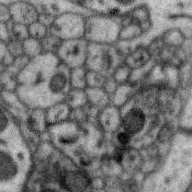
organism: Zebra finch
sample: Brain